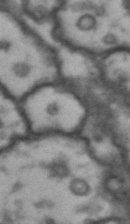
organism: Drosophila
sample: Brain